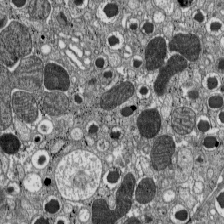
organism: C57BL Mouse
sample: Pancreatic islet